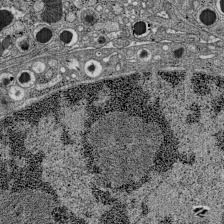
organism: C57BL Mouse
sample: Pancreatic islet